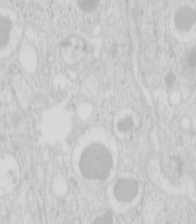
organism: Mouse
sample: Pancreas